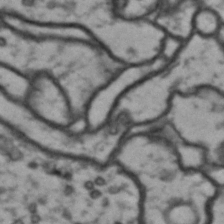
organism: Drosophila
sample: Brain